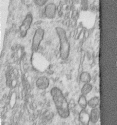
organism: Human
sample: Centriole in RPE cells